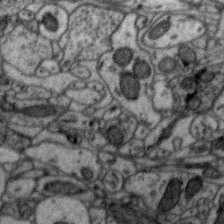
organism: Zebra finch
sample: Brain